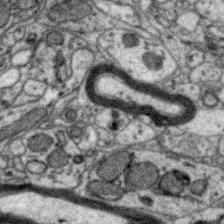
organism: Zebra finch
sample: Brain